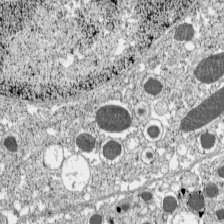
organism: C57BL Mouse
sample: Pancreatic islet